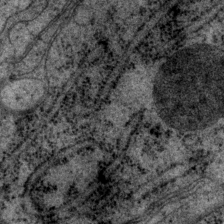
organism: P. pacificus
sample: Pharynx